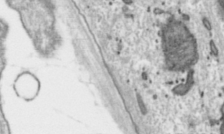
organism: Toxoplasma gondii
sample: Parasites in a vacuole inside a host cell